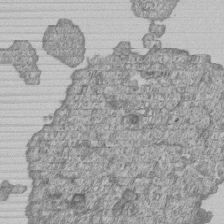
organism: Human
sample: MDA-MB-231 cells